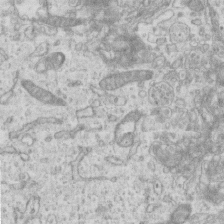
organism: Mouse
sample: Centriole in ependymal cells